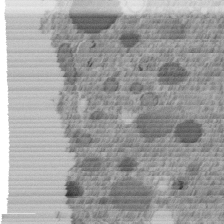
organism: C. elegans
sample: C. elegans embryo early stage